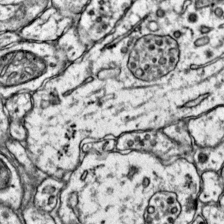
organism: Mouse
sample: Primary visual cortex